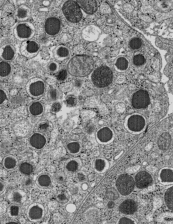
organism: C57BL Mouse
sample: Pancreatic islet